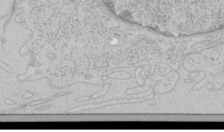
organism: Human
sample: Mitochondria in HCT116 cells